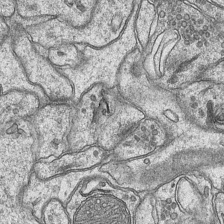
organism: Mouse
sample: CA1 Hippocampus